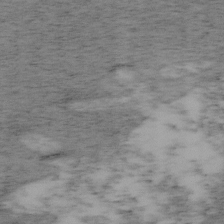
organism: Mouse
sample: OT-I killer T cells with ID8 ovarian cancer cells